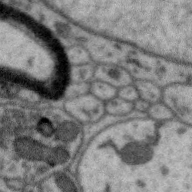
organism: Zebra finch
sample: Brain